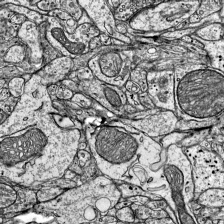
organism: Mouse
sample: Visual Cortex